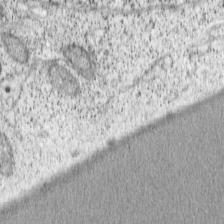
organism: African green monkey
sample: COS-7 cells